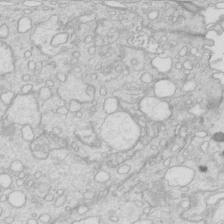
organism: Mouse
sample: Multiciliated cells